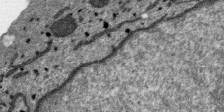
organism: Human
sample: Lung epithelial cells, uninfected (mock) control